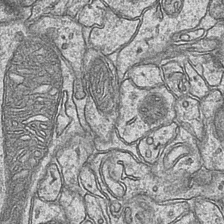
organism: Mouse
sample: CA1 Hippocampus